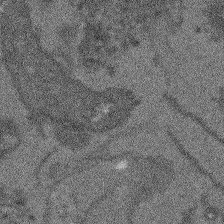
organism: Arabidopsis thaliana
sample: Root tip